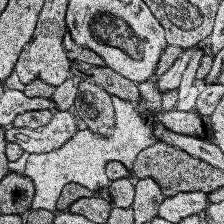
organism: Human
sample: Temporal Lobe